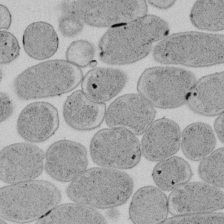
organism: E. coli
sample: Bacterial nucleoid